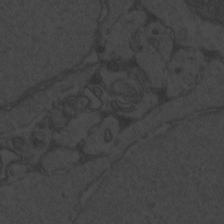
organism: Zebrafish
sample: Macrophage infected with Toxoplasma gondii